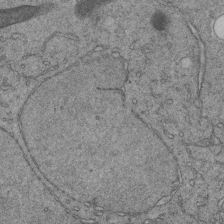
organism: C. elegans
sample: C. elegans embryo early stage